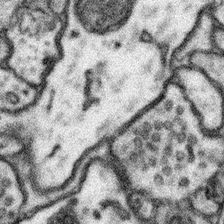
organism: Mouse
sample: Somatosensory cortex neuropil